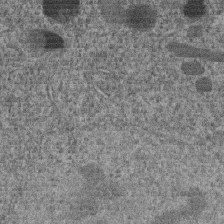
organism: C. elegans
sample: C. elegans embryo early stage